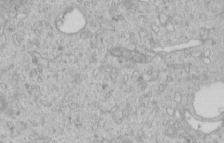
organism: Human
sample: Centriole in RPE cells